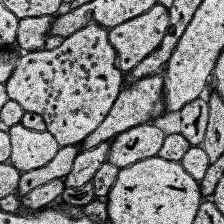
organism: Human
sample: Temporal Lobe